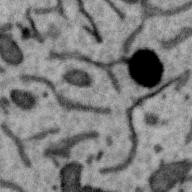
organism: Zebra finch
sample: Brain